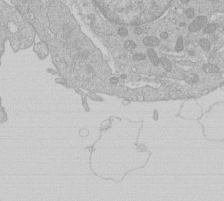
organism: Human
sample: Macrophage cells